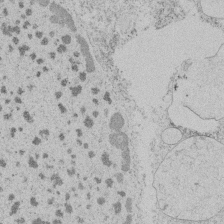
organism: Tetrahymena